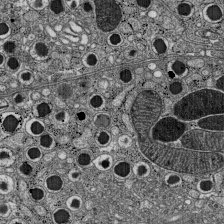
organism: C57BL Mouse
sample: Pancreatic islet